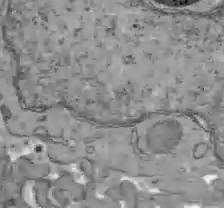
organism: C57BL Mouse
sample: Liver